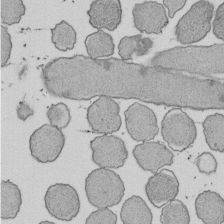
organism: E. coli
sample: Bacterial nucleoid